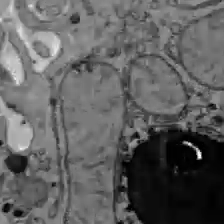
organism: C57BL Mouse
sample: Liver